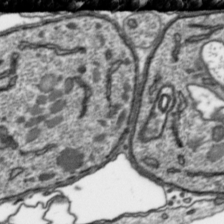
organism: Toxoplasma gondii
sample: Parasites in a vacuole inside a host cell